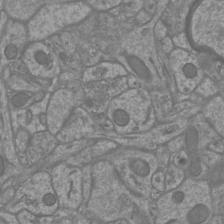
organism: Mouse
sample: Cortical neurons